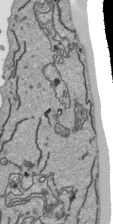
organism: Human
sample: Mitochondria in HCT116 cells